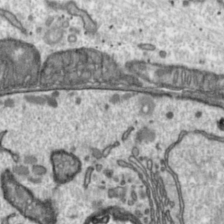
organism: Toxoplasma gondii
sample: Parasites in a vacuole inside a host cell